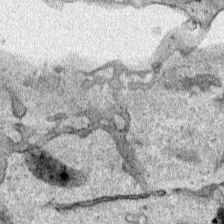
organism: Human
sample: Mitochondria in HCT116 cells